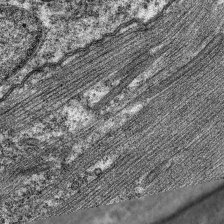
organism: C. elegans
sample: Pharynx